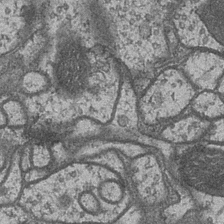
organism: Drosophila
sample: Optic medulla